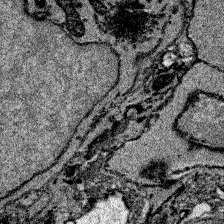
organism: Zebrafish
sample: Larval olfactory bulb